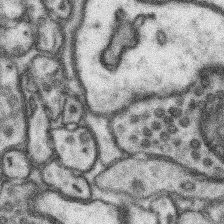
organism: Mouse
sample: Somatosensory cortex neuropil